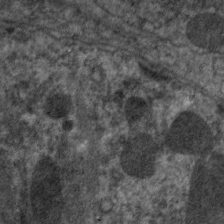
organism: C. elegans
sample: Pharynx